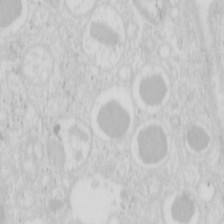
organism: Mouse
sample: Pancreas